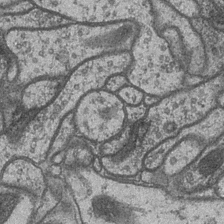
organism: Drosophila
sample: Optic medulla